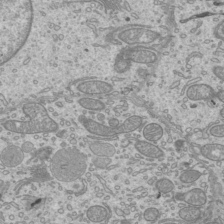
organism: Mouse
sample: Cilia; mouse epididymis